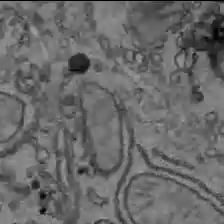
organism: C57BL Mouse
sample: Liver